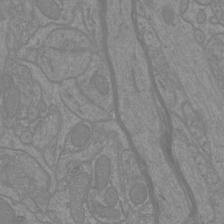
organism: Mouse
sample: Cortical neurons